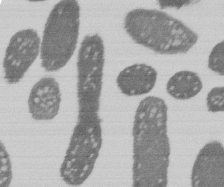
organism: E. coli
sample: Bacterial nucleoid